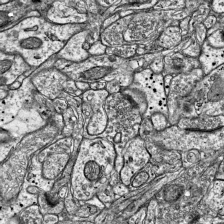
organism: Mouse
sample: Visual Cortex